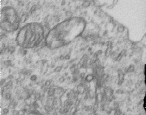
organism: Human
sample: Centriole in RPE cells